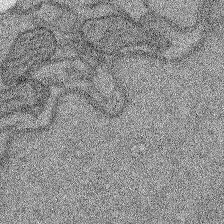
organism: Human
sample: HeLa cells